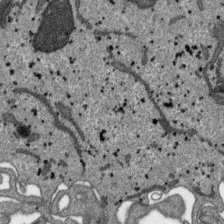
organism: Human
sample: Lung epithelial cells, uninfected (mock) control